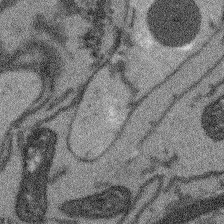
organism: Arabidopsis thaliana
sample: Root tip